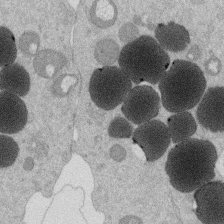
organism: Mouse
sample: Dividing mouse embryo 1 cell stage